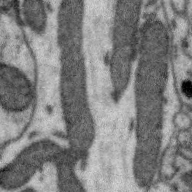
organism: Zebra finch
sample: Brain